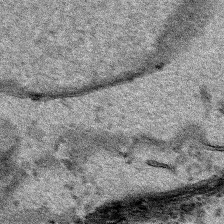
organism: Human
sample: Mitochondria in HCT116 cells